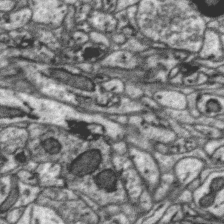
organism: Zebra finch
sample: Brain